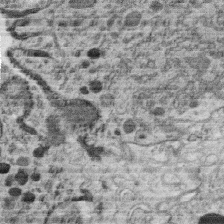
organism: C. elegans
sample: C. elegans oocyte; sperm cells